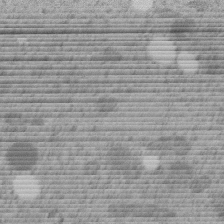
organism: C. elegans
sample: C. elegans embryo early stage